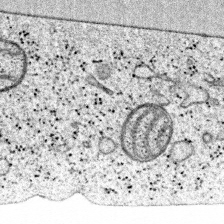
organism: Human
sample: HeLa cells